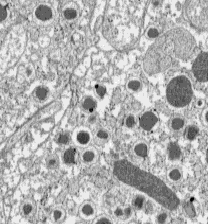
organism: C57BL Mouse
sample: Pancreatic islet